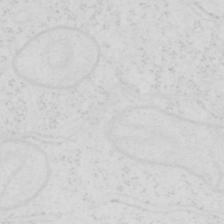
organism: Human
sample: SUM-159 cell